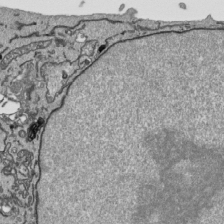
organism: Human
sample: Mitochondria in HCT116 cells